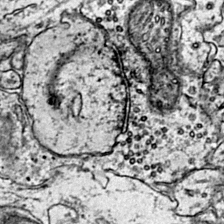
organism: Mouse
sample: Primary visual cortex